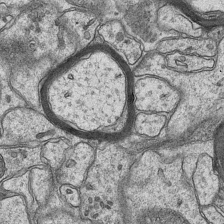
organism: Mouse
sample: CA1 Hippocampus